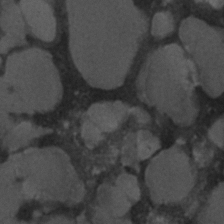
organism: C. elegans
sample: C. elegans embryo